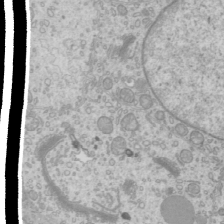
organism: Mouse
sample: Cilia; mouse epididymis